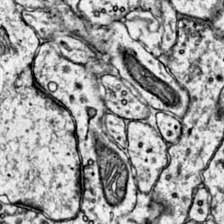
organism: Mouse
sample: Primary visual cortex